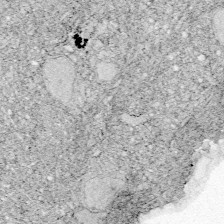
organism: Zebrafish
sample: Whole-Brain